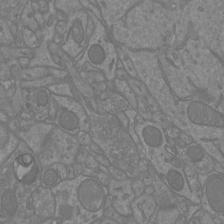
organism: Mouse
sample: Cortical neurons